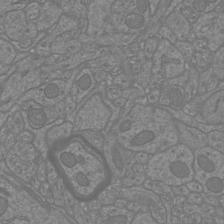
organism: Mouse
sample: Cortical neurons